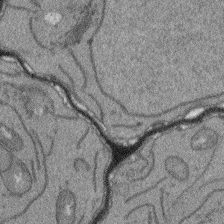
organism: Arabidopsis thaliana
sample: Root tip